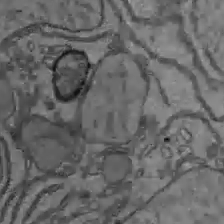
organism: C57BL Mouse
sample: Liver